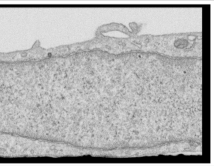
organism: Human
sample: Centriole in RPE cells